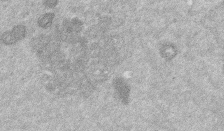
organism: Mouse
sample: Dividing mouse embryo 1 cell stage